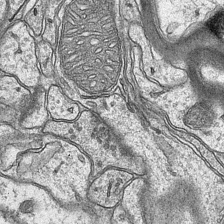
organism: Mouse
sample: CA1 Hippocampus